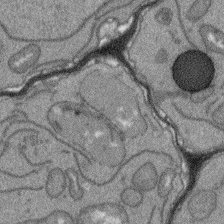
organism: Arabidopsis thaliana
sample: Root tip